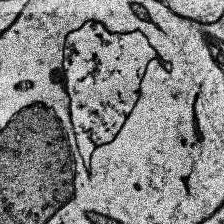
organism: Human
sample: Temporal Lobe